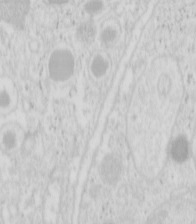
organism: Mouse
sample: Pancreas